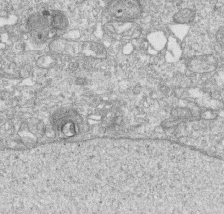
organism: Human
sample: HeLa cell HIV synapse